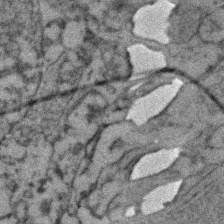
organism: Zebrafish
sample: Zebrafish embryo